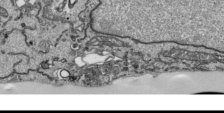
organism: Human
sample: Mitochondria in HCT116 cells